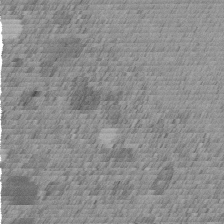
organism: C. elegans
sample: C. elegans embryo early stage